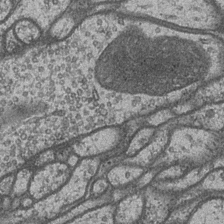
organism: Drosophila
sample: Optic medulla